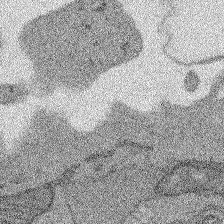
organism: Human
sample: HeLa cells